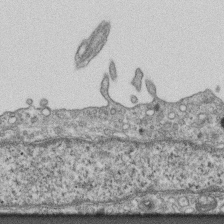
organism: Mouse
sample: Centriole in ependymal cells